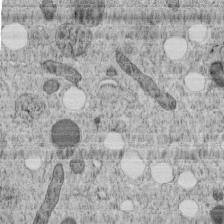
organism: C. elegans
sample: C. elegans embryo early stage